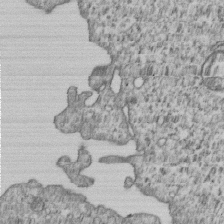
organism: Human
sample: MDA-MB-231 cells